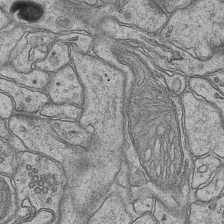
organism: Mouse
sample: CA1 Hippocampus